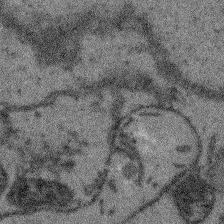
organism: Arabidopsis thaliana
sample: Root tip